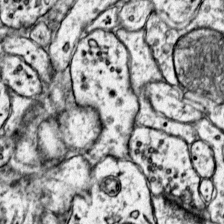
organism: Mouse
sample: Primary visual cortex